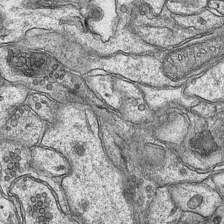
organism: Mouse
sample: CA1 Hippocampus